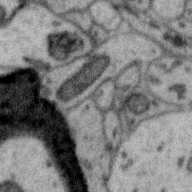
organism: Zebra finch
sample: Brain